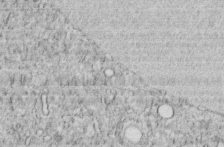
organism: C. elegans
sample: C. elegans embryo early stage